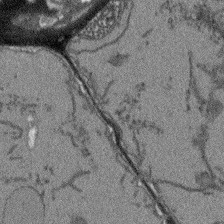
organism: Arabidopsis thaliana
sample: Root tip